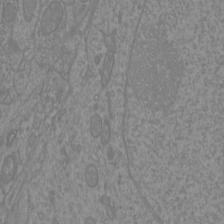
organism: Mouse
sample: Cortical neurons